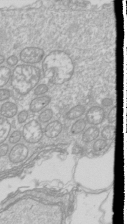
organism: Drosophila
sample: Cell division; meiosis; drosophila spermatocytes